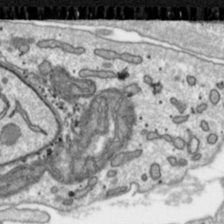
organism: Toxoplasma gondii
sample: Parasites in a vacuole inside a host cell